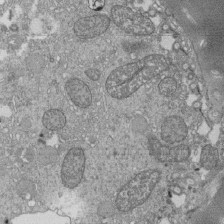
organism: Tetrahymena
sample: Cilia in tetrahymena